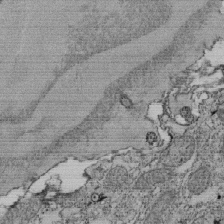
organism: Tetrahymena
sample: Cilia in tetrahymena